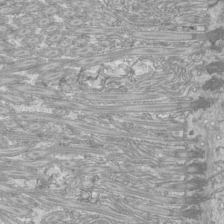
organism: Mouse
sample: Cilia; mouse epididymis